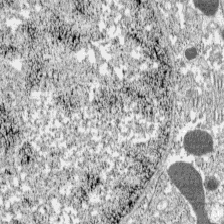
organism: C57BL Mouse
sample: Pancreatic islet